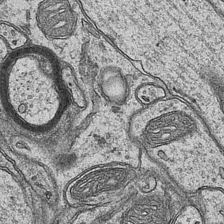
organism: Mouse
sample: CA1 Hippocampus